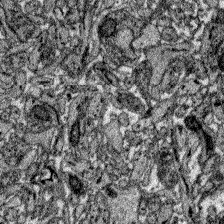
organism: Zebrafish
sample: Larval olfactory bulb